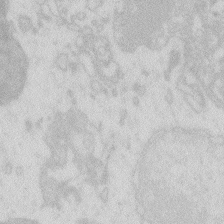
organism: Zebrafish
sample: Macrophage